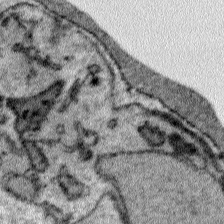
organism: Plasmodium falciparum